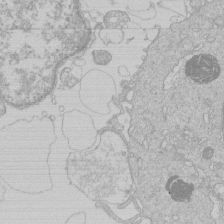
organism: Human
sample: Macrophage cells